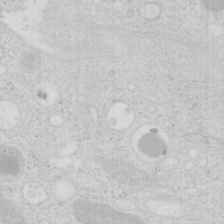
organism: Mouse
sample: Pancreas